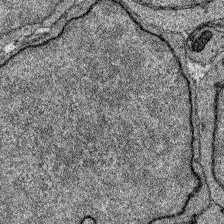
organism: Zebrafish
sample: Larval olfactory bulb